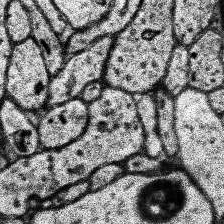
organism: Human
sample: Temporal Lobe